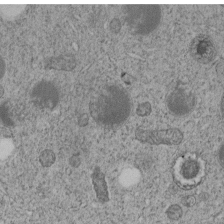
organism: C. elegans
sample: C. elegans embryo early stage